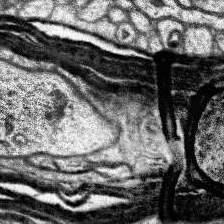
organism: Human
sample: Temporal Lobe